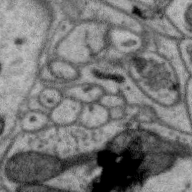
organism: Zebra finch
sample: Brain